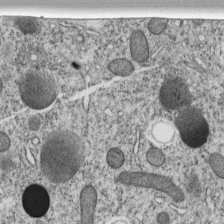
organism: C. elegans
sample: C. elegans embryo early stage